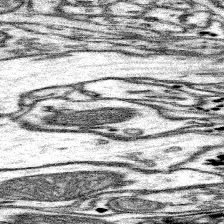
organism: Mouse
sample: Somatosensory cortex neuropil